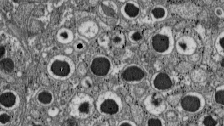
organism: C57BL Mouse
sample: Pancreatic islet